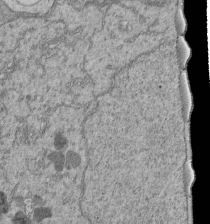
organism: Human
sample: Retinal organoid Rod and Cone cells